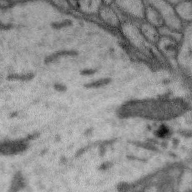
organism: Zebra finch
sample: Brain